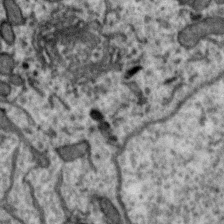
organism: Zebra finch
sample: Brain